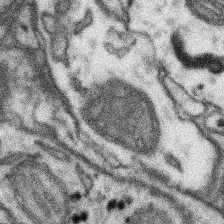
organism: Mouse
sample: Somatosensory cortex neuropil